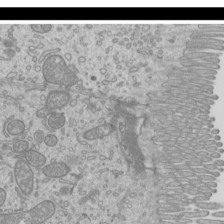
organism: Mouse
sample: Cilia; mouse epididymis